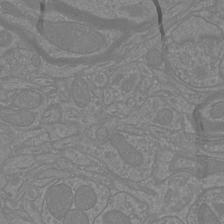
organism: Mouse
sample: Cortical neurons